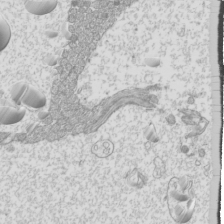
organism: Mouse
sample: Cilia; mouse epididymis